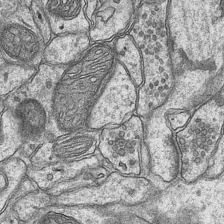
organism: Mouse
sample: CA1 Hippocampus